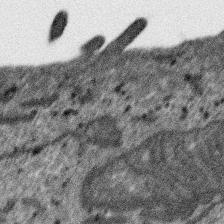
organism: Human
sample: Lung epithelial cells infected with SARS-CoV-2